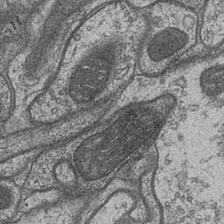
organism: Drosophila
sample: Optic medulla